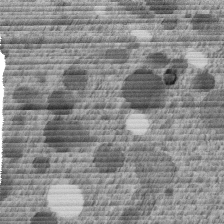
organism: C. elegans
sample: C. elegans embryo early stage